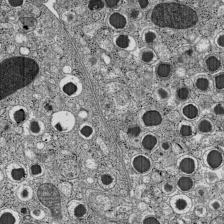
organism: C57BL Mouse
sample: Pancreatic islet